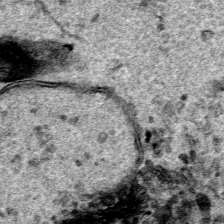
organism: Human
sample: Mitochondria in HCT116 cells